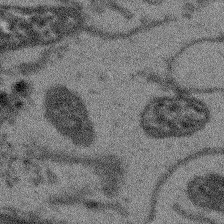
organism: Arabidopsis thaliana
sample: Root tip